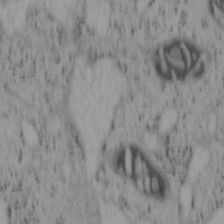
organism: Mouse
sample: OT-I killer T cells with ID8 ovarian cancer cells